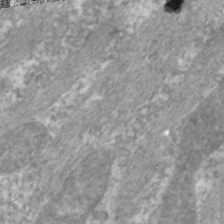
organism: C. elegans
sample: Pharynx